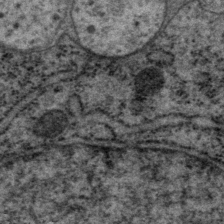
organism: P. pacificus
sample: Pharynx